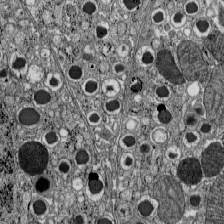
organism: C57BL Mouse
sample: Pancreatic islet